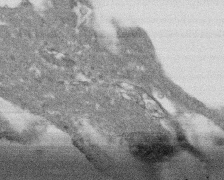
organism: Human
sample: CRL-1474